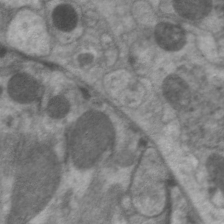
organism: C. elegans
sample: Pharynx